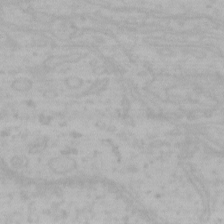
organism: Mouse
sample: Choroid plexus